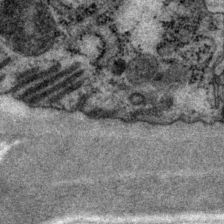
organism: P. pacificus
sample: Pharynx